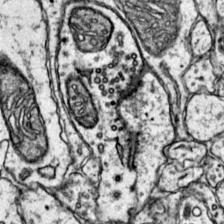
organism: Mouse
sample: Primary visual cortex